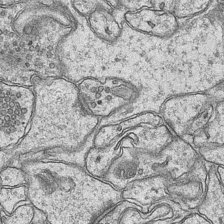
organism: Mouse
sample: CA1 Hippocampus